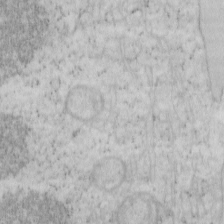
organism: Human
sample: HeLa cells